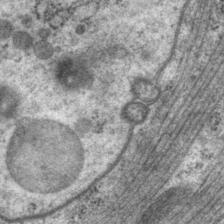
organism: P. pacificus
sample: Pharynx